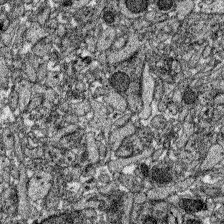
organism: Zebrafish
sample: Larval olfactory bulb